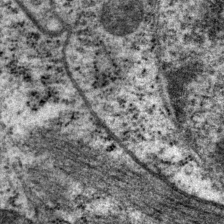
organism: P. pacificus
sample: Pharynx